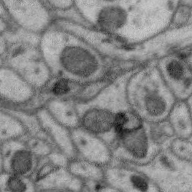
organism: Zebra finch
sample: Brain